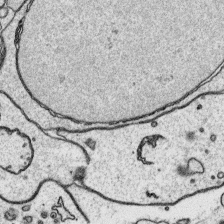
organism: Platynereis dumerilii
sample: Parapodia